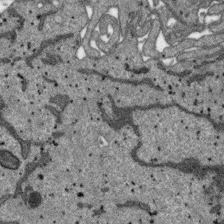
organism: Human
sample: Lung epithelial cells, uninfected (mock) control